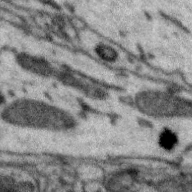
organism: Zebra finch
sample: Brain